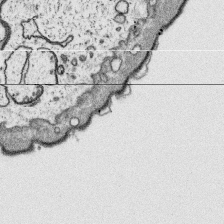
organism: Platynereis dumerilii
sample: Parapodia